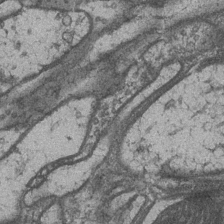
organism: Drosophila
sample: Optic medulla